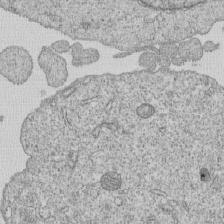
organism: Human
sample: MDA-MB-231 cells